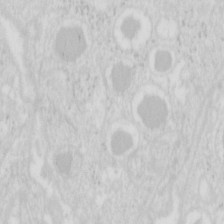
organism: Mouse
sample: Pancreas